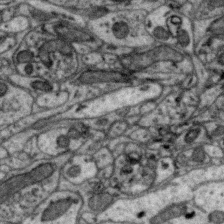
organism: Zebra finch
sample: Brain